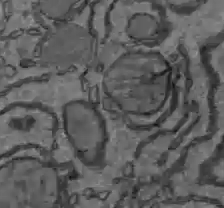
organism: C57BL Mouse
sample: Liver